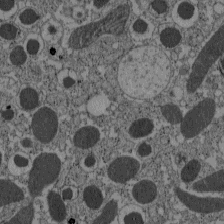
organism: C57BL Mouse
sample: Pancreatic islet